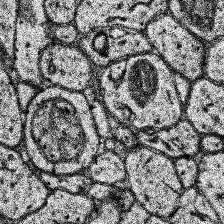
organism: Human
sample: Temporal Lobe